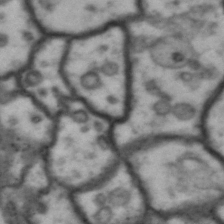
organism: Drosophila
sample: Brain